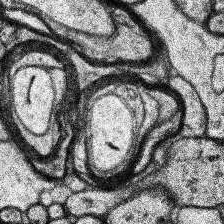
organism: Human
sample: Temporal Lobe